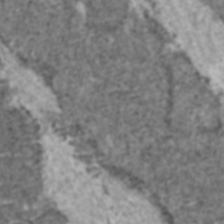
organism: C57BL Mouse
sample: Heart